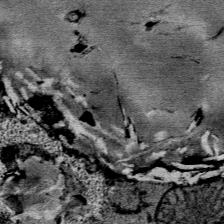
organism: Mouse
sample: Mouse Salivary gland